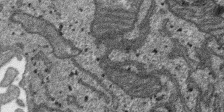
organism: Human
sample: Lung epithelial cells infected with SARS-CoV-2